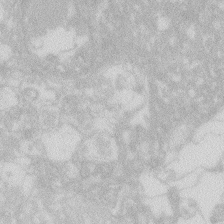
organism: Zebrafish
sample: Macrophage